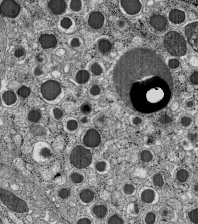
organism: C57BL Mouse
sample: Pancreatic islet